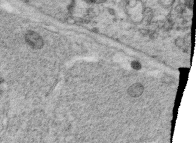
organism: C. elegans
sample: C. elegans oocyte; sperm cells